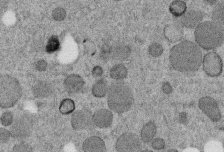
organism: C. elegans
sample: C. elegans embryo early stage